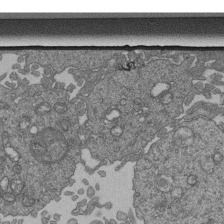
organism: Human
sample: Retinal organoid Rod and Cone cells